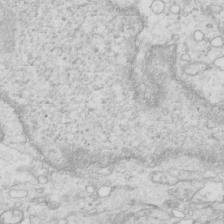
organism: Mouse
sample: Multiciliated cells